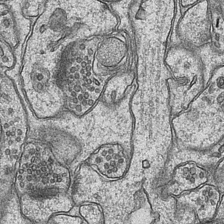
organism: Mouse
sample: CA1 Hippocampus